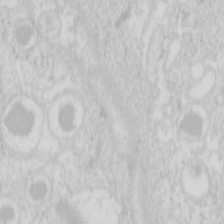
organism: Mouse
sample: Pancreas